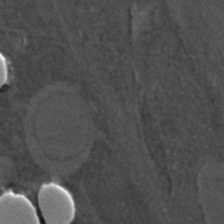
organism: C. elegans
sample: C. elegans embryo